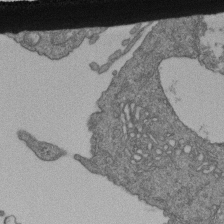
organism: Human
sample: Retinal organoid Rod and Cone cells